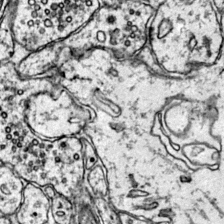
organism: Mouse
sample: Primary visual cortex